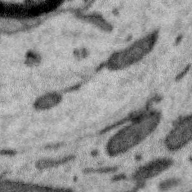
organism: Zebra finch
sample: Brain